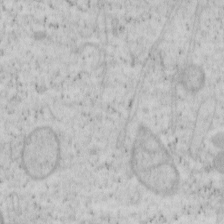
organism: Human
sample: HeLa cells